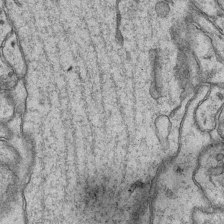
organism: Mouse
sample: CA1 Hippocampus